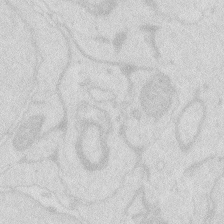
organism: Zebrafish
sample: Macrophage